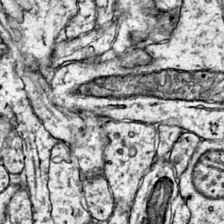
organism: Mouse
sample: Primary visual cortex